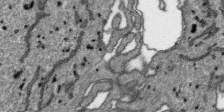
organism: Human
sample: Lung epithelial cells, uninfected (mock) control